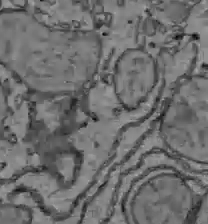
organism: C57BL Mouse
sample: Liver